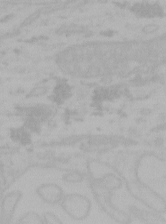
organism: Mouse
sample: Choroid plexus